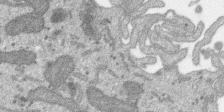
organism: Human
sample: Lung epithelial cells infected with SARS-CoV-2